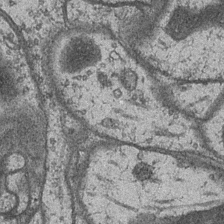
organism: Drosophila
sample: Optic medulla